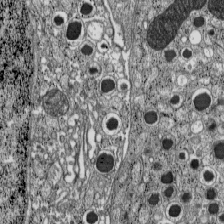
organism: C57BL Mouse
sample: Pancreatic islet